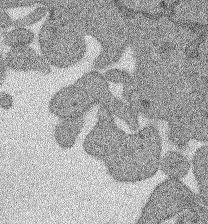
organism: Human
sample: HeLa cells